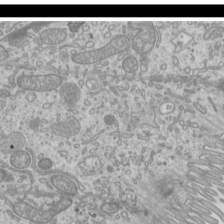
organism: Mouse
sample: Cilia; mouse epididymis